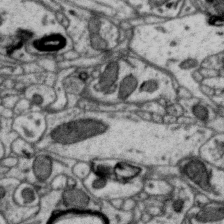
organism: Zebra finch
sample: Brain